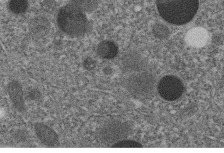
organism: C. elegans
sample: C. elegans embryo early stage